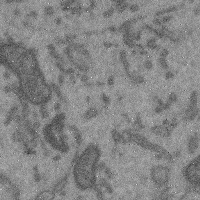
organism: Mouse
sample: Cerebral cortex